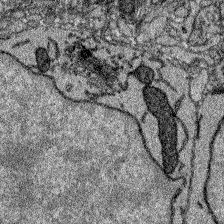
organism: Zebrafish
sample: Larval olfactory bulb